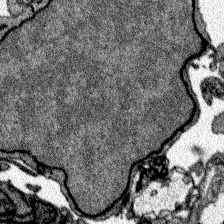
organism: Zebrafish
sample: Larval olfactory bulb